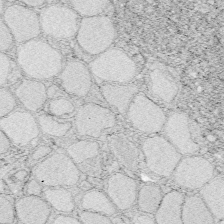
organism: Zebrafish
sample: Whole-Brain